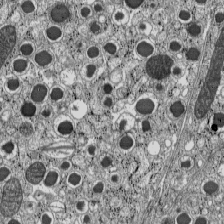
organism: C57BL Mouse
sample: Pancreatic islet